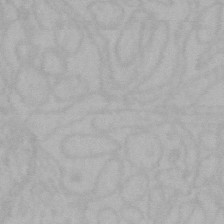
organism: Mouse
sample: Choroid plexus